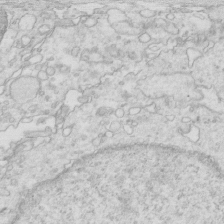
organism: Mouse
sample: Multiciliated cells